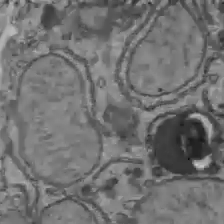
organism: C57BL Mouse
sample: Liver